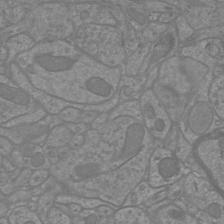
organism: Mouse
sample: Cortical neurons